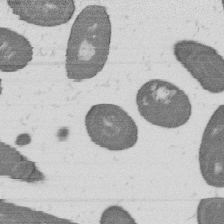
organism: B. subtilis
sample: Bacterial spore